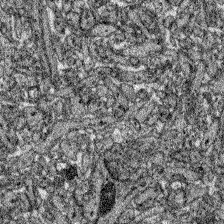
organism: Zebrafish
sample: Larval olfactory bulb